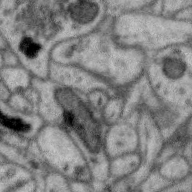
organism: Zebra finch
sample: Brain